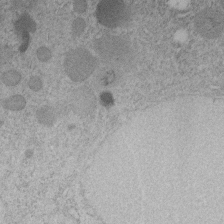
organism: C. elegans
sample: C. elegans embryo early stage